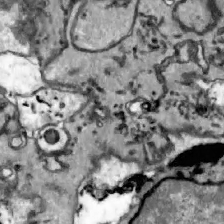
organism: Zebrafish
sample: Actinotrichia fibers